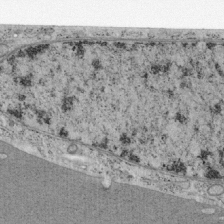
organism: Human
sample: HeLa cells